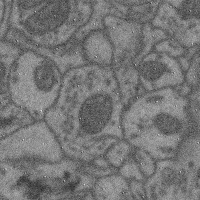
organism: Mouse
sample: Cerebral cortex